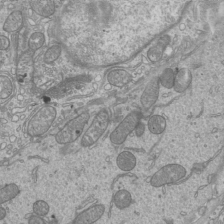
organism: Mouse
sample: Cilia; mouse epididymis